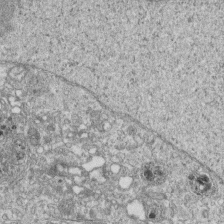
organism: Human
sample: HeLa cell HIV synapse